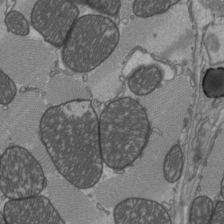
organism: C57BL Mouse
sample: Heart